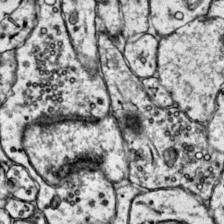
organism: Mouse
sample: Primary visual cortex